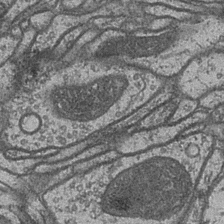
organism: Drosophila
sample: Optic medulla